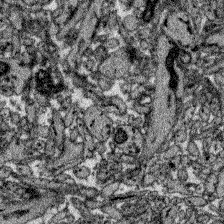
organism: Zebrafish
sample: Larval olfactory bulb